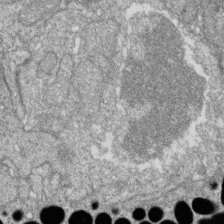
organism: Zebrafish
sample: Cilia; retinal pigment epithelium